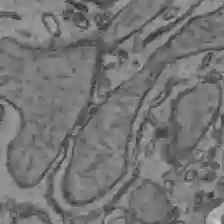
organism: C57BL Mouse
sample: Liver